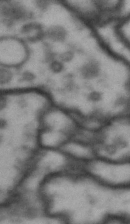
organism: Drosophila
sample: Brain